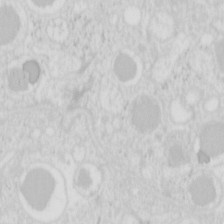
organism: Mouse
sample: Pancreas